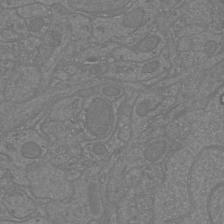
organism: Mouse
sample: Cortical neurons